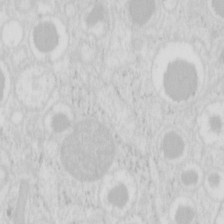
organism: Mouse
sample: Pancreas